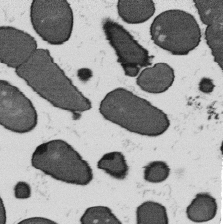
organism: B. subtilis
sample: Bacterial spore